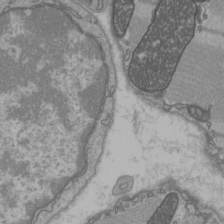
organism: C57BL Mouse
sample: Heart